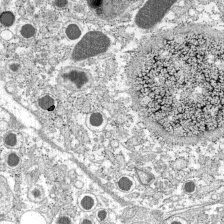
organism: C57BL Mouse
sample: Pancreatic islet